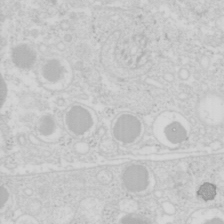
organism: Mouse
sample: Pancreas